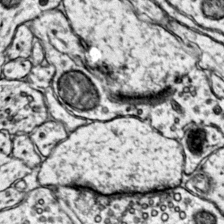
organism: Mouse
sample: Primary visual cortex